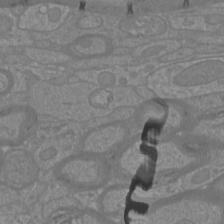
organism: Mouse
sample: Cortical neurons